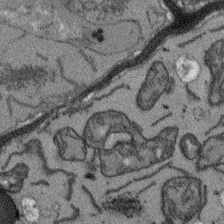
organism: Arabidopsis thaliana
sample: Root tip